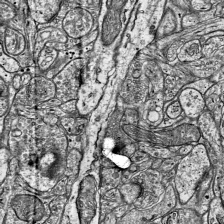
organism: Mouse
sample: Visual Cortex